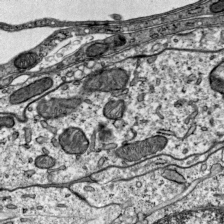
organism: Mouse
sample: Visual Cortex